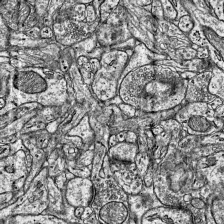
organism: Mouse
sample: Visual Cortex